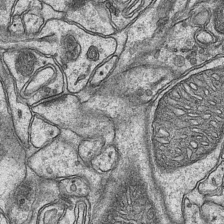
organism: Mouse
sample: CA1 Hippocampus